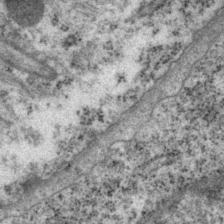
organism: P. pacificus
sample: Pharynx